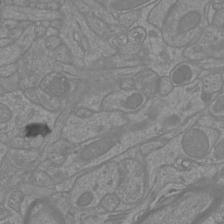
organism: Mouse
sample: Cortical neurons